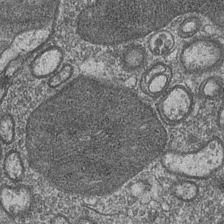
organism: Drosophila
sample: Optic medulla